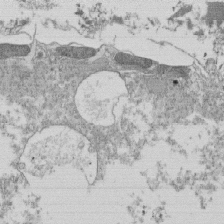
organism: Tetrahymena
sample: Cilia in tetrahymena